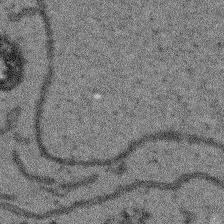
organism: Arabidopsis thaliana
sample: Root tip